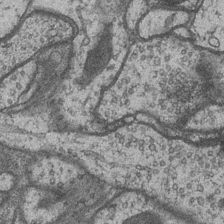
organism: Drosophila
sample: Optic medulla